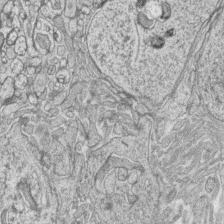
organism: Zebrafish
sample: synaptic ribbons in rod cells and cone cells